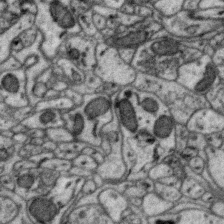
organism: Zebra finch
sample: Brain